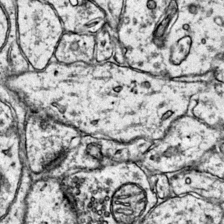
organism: Mouse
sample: Primary visual cortex